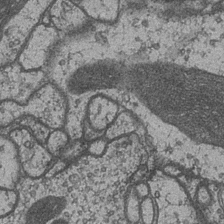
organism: Drosophila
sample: Optic medulla